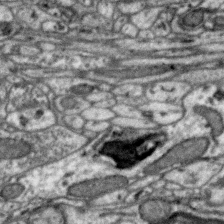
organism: Zebra finch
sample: Brain